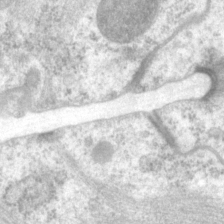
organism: P. pacificus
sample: Pharynx